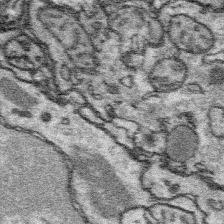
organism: Platynereis dumerilii